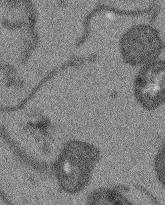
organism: Arabidopsis thaliana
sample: Root tip